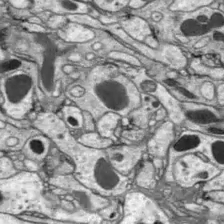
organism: Drosophila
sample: Optic lobe